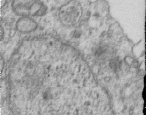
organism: Human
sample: Centriole in RPE cells